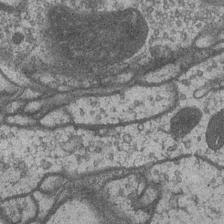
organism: Drosophila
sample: Optic medulla